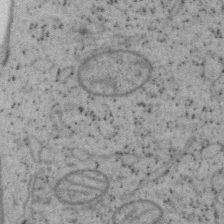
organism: Human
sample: HeLa cells